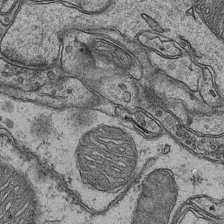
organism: Mouse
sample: CA1 Hippocampus